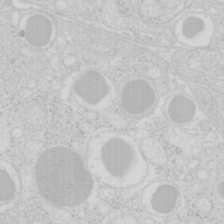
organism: Mouse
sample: Pancreas